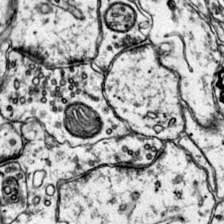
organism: Mouse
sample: Primary visual cortex